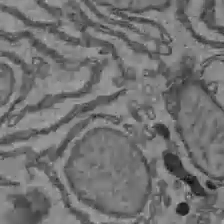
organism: C57BL Mouse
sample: Liver